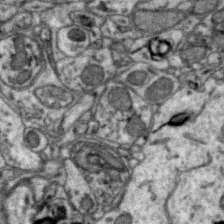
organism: Zebra finch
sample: Brain